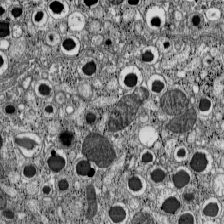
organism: C57BL Mouse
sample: Pancreatic islet